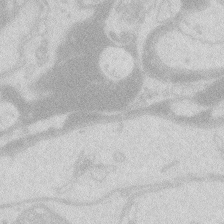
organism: Zebrafish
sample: Macrophage